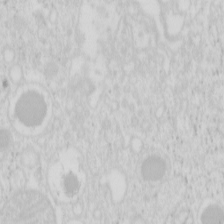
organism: Mouse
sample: Pancreas